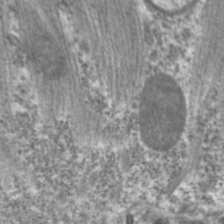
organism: C. elegans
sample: Pharynx